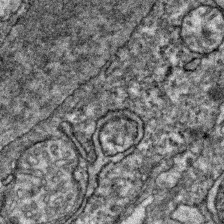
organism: Zebrafish